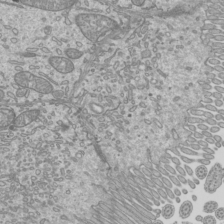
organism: Mouse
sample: Cilia; mouse epididymis